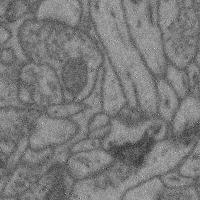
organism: Mouse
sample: Cerebral cortex